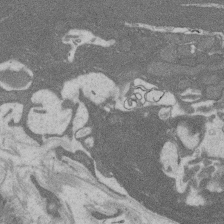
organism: Rat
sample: Salivary granule